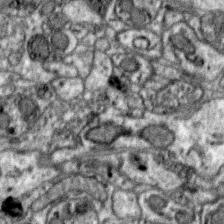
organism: Zebra finch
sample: Brain